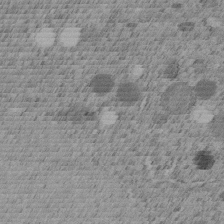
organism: C. elegans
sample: C. elegans embryo early stage